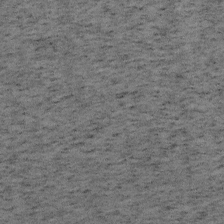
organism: Mouse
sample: OT-I killer T cells with ID8 ovarian cancer cells